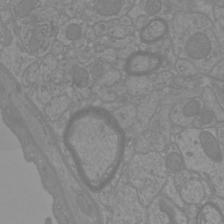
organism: Mouse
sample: Cortical neurons